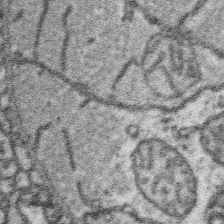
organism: Platynereis dumerilii